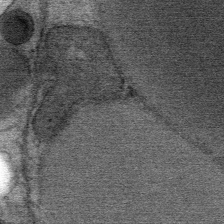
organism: Mouse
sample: Mouse Salivary gland